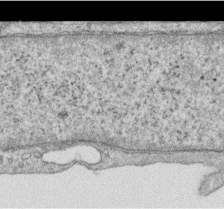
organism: Human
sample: Centriole in RPE cells